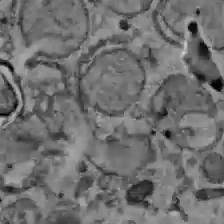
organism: C57BL Mouse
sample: Liver